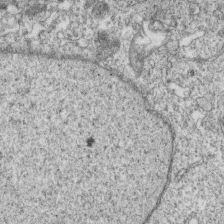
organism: Human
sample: HeLa cell HIV synapse